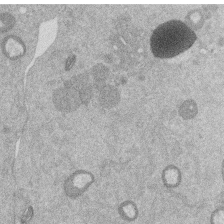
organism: Mouse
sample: Dividing mouse embryo 1 cell stage